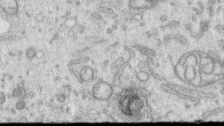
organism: Human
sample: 1205lu cells